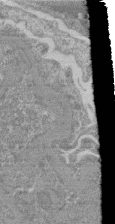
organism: Mouse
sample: Glomerulus